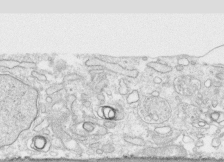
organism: Human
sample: CRL-1474